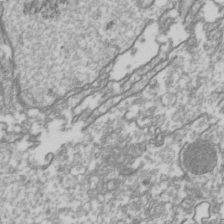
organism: Drosophila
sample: Cell division; meiosis; drosophila spermatocytes